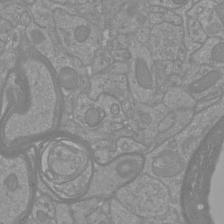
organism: Mouse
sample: Cortical neurons